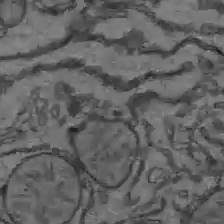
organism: C57BL Mouse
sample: Liver